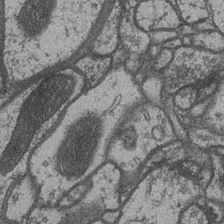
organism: Drosophila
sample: Optic medulla